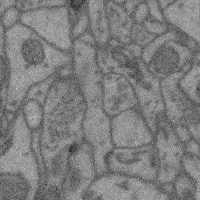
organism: Mouse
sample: Cerebral cortex